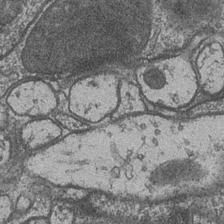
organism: Drosophila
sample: Optic medulla